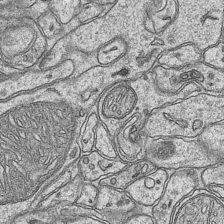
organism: Mouse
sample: CA1 Hippocampus